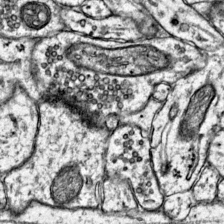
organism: Mouse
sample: Primary visual cortex